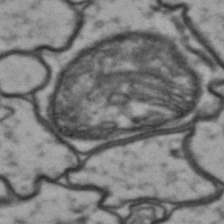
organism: Drosophila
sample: Brain